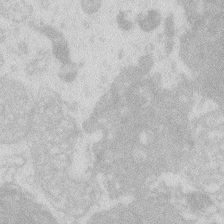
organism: Zebrafish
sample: Macrophage